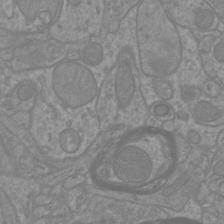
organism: Mouse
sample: Cortical neurons